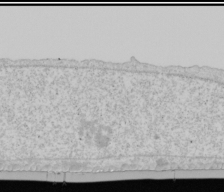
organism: Human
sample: Mitochondria in U2OS cells